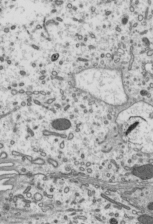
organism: Mouse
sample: Mouse epididymis efferent ductule cilia